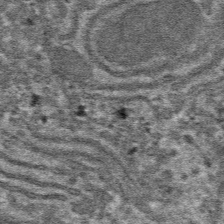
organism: Mouse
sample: Mouse hepatocytes